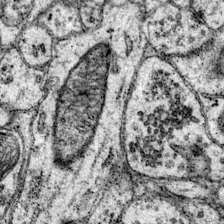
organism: Mouse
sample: Primary visual cortex